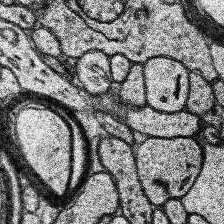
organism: Human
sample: Temporal Lobe